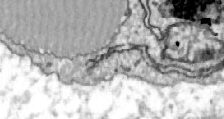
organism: Zebrafish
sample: Actinotrichia fibers